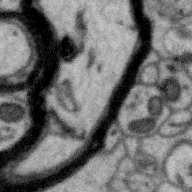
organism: Zebra finch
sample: Brain